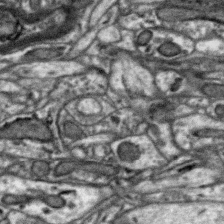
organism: Zebra finch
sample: Brain